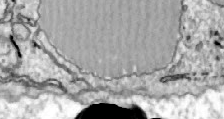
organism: Zebrafish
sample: Actinotrichia fibers